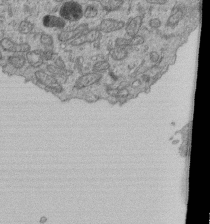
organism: Human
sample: Retinal organoid Rod and Cone cells